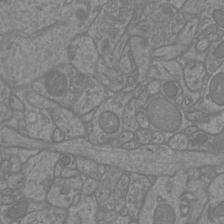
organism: Mouse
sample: Cortical neurons